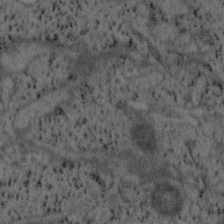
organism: Human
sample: HeLa cells